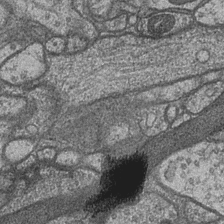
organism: Drosophila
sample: Optic medulla